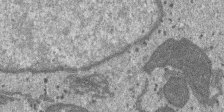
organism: Human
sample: Lung epithelial cells infected with SARS-CoV-2